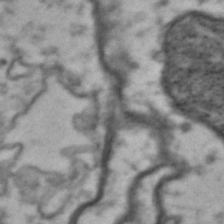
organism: Drosophila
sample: Brain